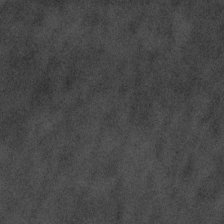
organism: Tuwongella immobilis